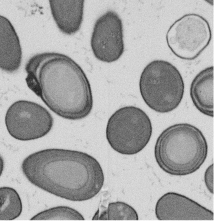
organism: B. subtilis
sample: Bacterial spore